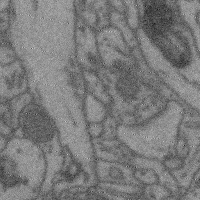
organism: Mouse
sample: Cerebral cortex